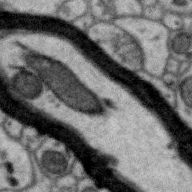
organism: Zebra finch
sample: Brain